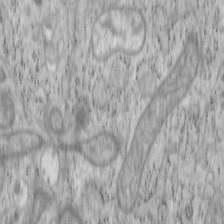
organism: Human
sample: HeLa cells